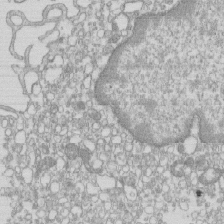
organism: Mouse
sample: Macrophages